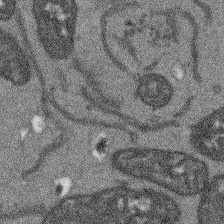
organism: Arabidopsis thaliana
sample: Root tip